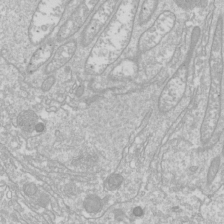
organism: Drosophila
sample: Cell division; meiosis; drosophila spermatocytes